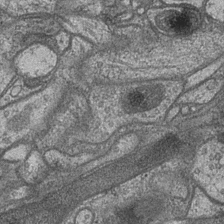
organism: Drosophila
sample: Optic medulla